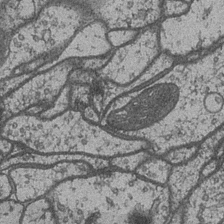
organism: Drosophila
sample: Optic medulla